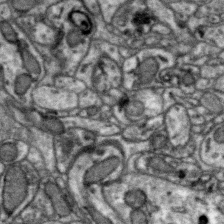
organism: Zebra finch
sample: Brain